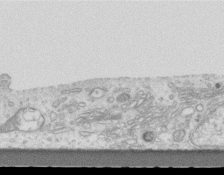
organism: Mouse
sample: Centriole in ependymal cells